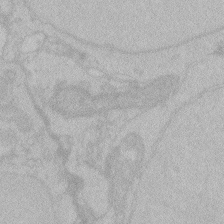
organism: Zebrafish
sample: Macrophage infected with Toxoplasma gondii